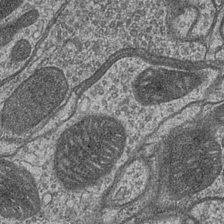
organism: Drosophila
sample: Optic medulla